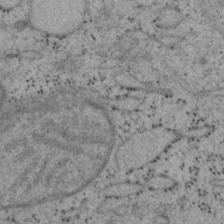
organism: Human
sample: HeLa cells